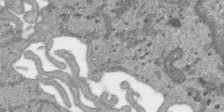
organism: Human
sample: Lung epithelial cells infected with SARS-CoV-2